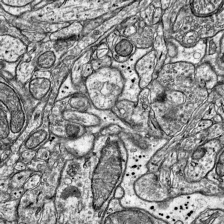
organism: Mouse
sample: Visual Cortex